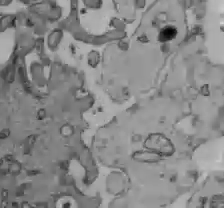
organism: C57BL Mouse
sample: Liver